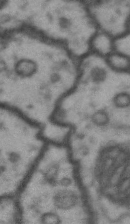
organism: Drosophila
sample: Brain